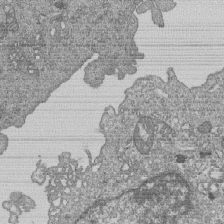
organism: Human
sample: MDA-MB-231 cells